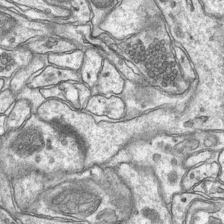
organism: Mouse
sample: CA1 Hippocampus